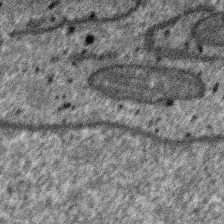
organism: Human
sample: Lung epithelial cells infected with SARS-CoV-2